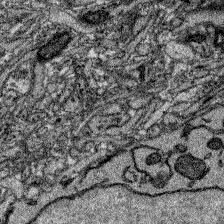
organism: Zebrafish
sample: Larval olfactory bulb